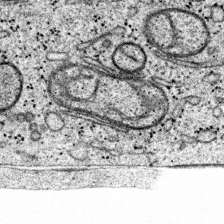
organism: Human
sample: HeLa cells